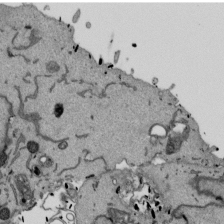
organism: Mouse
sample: ED-1 cell nuclei; centrioles